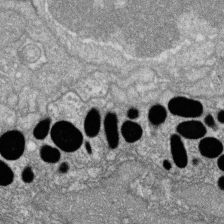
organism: Zebrafish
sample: Cilia; retinal pigment epithelium